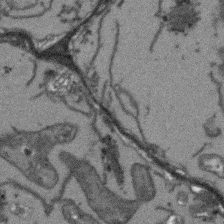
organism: Arabidopsis thaliana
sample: Root tip